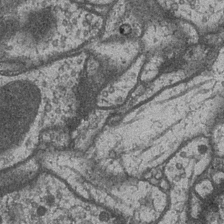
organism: Drosophila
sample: Optic medulla